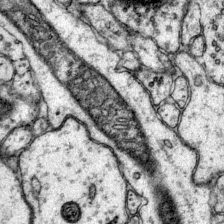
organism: Mouse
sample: Primary visual cortex